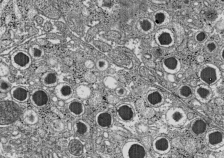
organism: C57BL Mouse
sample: Pancreatic islet